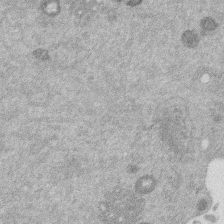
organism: Mouse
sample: Dividing mouse embryo 1 cell stage